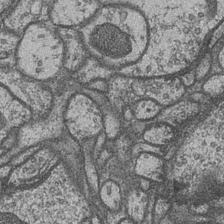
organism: Drosophila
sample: Optic medulla